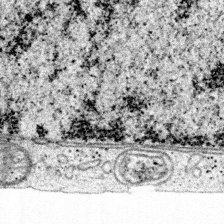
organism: Human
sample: HeLa cells